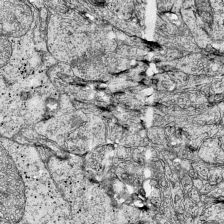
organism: Mouse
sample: Visual Cortex